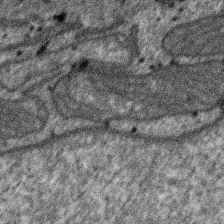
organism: Human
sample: Lung epithelial cells infected with SARS-CoV-2